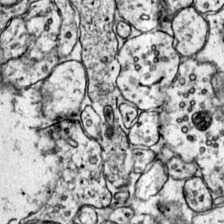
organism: Mouse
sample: Primary visual cortex